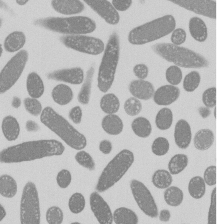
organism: E. coli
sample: Bacterial nucleoid